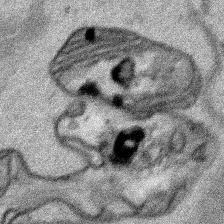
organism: Human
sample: Mitochondria in HCT116 cells